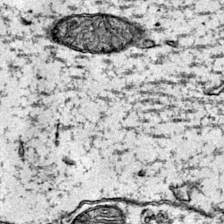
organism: Mouse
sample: Primary visual cortex